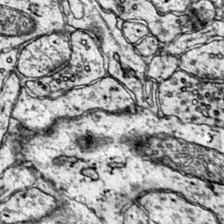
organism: Mouse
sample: Primary visual cortex